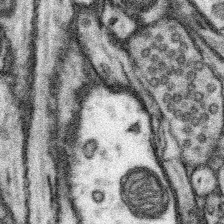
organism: Mouse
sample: Somatosensory cortex neuropil